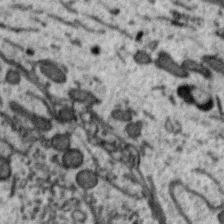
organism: Zebra finch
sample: Brain